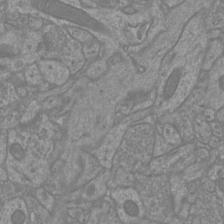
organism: Mouse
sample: Cortical neurons